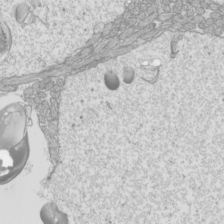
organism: Mouse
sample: Cilia; mouse epididymis